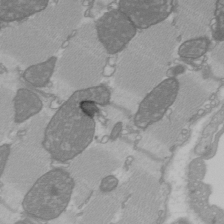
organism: C57BL Mouse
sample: Heart